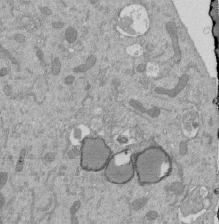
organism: Mouse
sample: ED-1 cell nuclei; centrioles